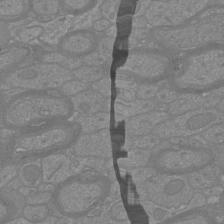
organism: Mouse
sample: Cortical neurons